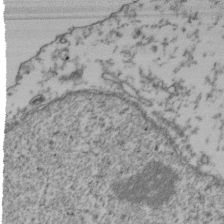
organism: Human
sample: Activated Jurkat CD4+ T cells